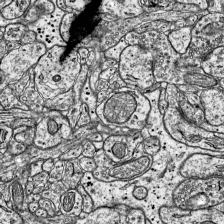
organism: Mouse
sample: Visual Cortex